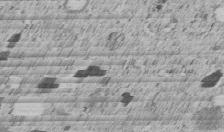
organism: C. elegans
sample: C. elegans embryo early stage